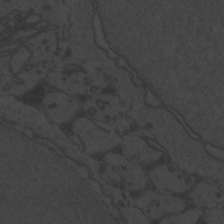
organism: Zebrafish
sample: Macrophage infected with Toxoplasma gondii